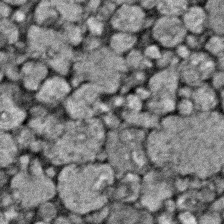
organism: Zebrafish